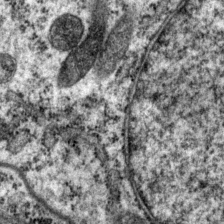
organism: P. pacificus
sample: Pharynx